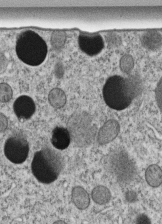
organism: C. elegans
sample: C. elegans embryo early stage